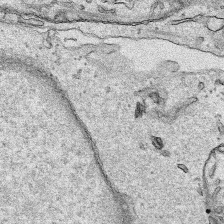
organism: Human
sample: Mitochondria in HCT116 cells